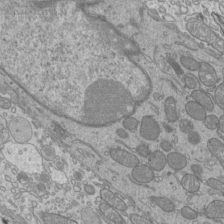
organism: Mouse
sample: Cilia; mouse epididymis